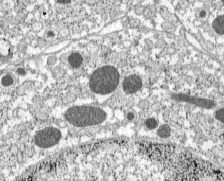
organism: C57BL Mouse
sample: Pancreatic islet